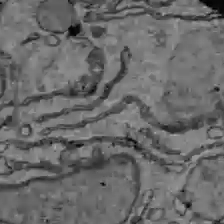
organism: C57BL Mouse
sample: Liver